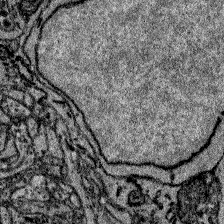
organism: Zebrafish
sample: Larval olfactory bulb